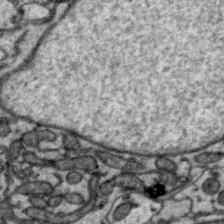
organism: Zebra finch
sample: Brain